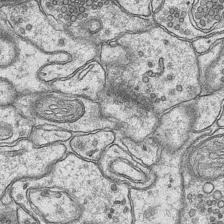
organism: Mouse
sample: CA1 Hippocampus